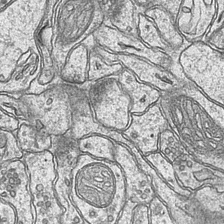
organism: Mouse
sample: CA1 Hippocampus